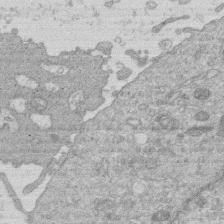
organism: Human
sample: Macrophage cells